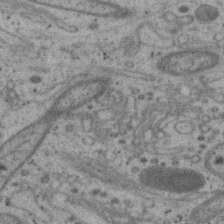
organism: Human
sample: HeLa cells